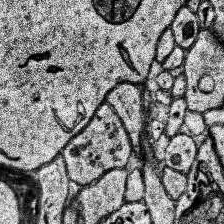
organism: Human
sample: Temporal Lobe